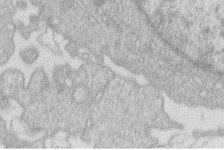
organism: Human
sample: Macrophage cells